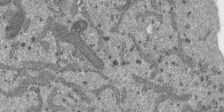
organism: Human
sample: Lung epithelial cells infected with SARS-CoV-2